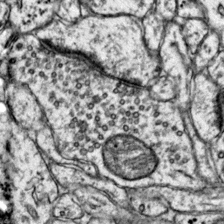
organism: Mouse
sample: Primary visual cortex